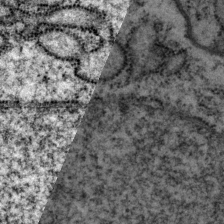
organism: P. pacificus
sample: Pharynx